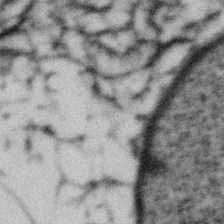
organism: Gemmata obscuriglobus